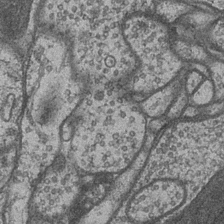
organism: Drosophila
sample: Optic medulla